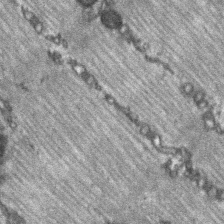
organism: C57BL Mouse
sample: Soleus